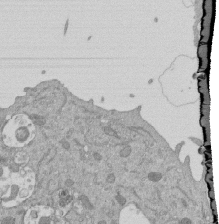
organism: Mouse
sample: ED-1 cell nuclei; centrioles